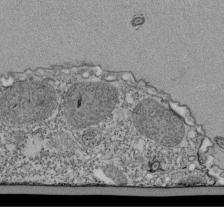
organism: Tetrahymena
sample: Cilia in tetrahymena